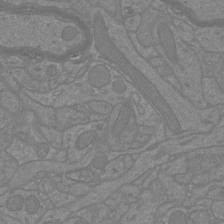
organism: Mouse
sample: Cortical neurons